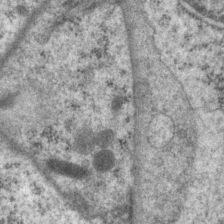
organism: P. pacificus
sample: Pharynx